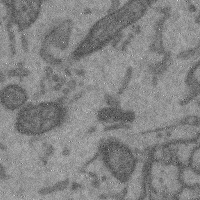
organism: Mouse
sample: Cerebral cortex